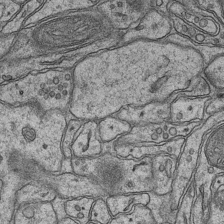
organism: Mouse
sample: CA1 Hippocampus